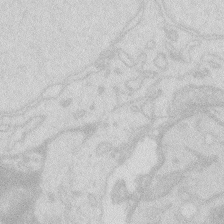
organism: Zebrafish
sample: Macrophage